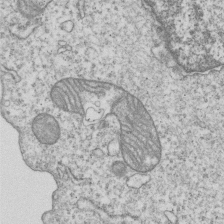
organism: Human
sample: MDA-MB-231 cells